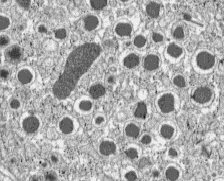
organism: C57BL Mouse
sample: Pancreatic islet